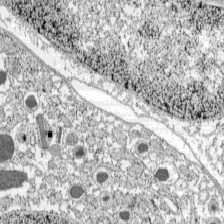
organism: C57BL Mouse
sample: Pancreatic islet